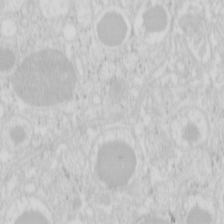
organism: Mouse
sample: Pancreas